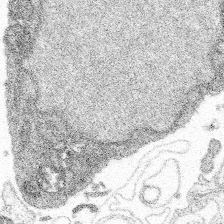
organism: Spongilla lacustris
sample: Multiple